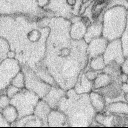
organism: Rabbit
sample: Retina